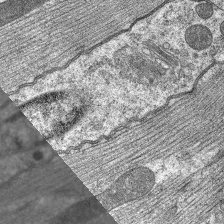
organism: C. elegans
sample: Pharynx